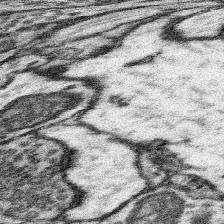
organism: Mouse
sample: Somatosensory cortex neuropil